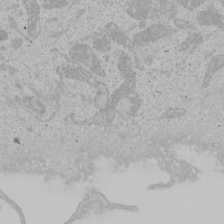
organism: Human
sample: Mitochondria in U2OS cells